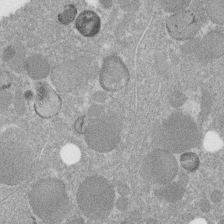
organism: C. elegans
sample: C. elegans embryo early stage